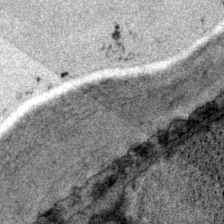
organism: P. pacificus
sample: Pharynx